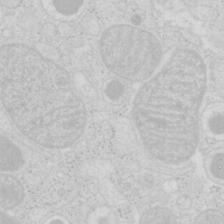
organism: Mouse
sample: Pancreas